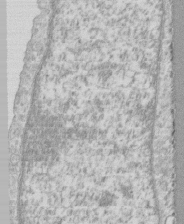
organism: Human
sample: CRL-1474